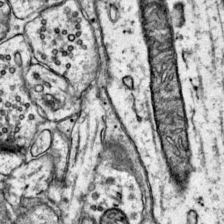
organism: Mouse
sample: Primary visual cortex